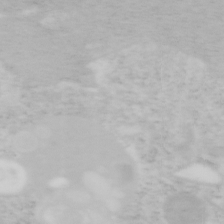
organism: Mouse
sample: OT-I killer T cells with ID8 ovarian cancer cells